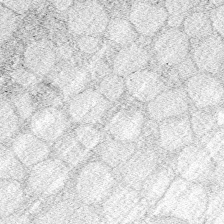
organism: Zebrafish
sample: Whole-Brain